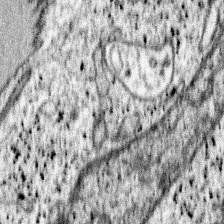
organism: Human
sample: HeLa cells